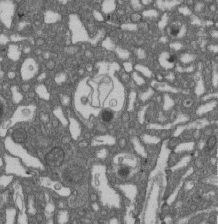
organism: Drosophila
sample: Nephrocyte